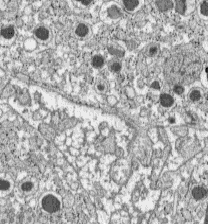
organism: C57BL Mouse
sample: Pancreatic islet